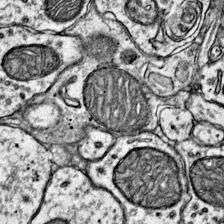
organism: Mouse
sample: Primary visual cortex